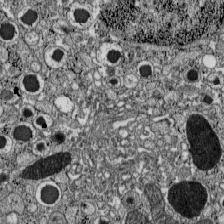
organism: C57BL Mouse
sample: Pancreatic islet